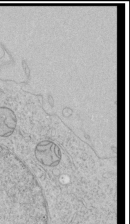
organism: Human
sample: Mitochondria in HCT116 cells